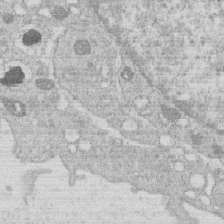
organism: Human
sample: Macrophage cells